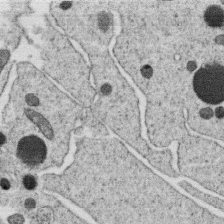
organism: C. elegans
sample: C. elegans oocyte; sperm cells